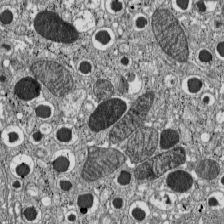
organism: C57BL Mouse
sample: Pancreatic islet